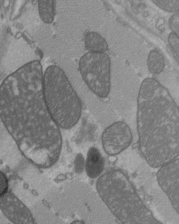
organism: C57BL Mouse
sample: Heart